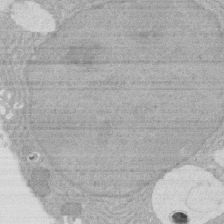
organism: Rat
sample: Salivary granule